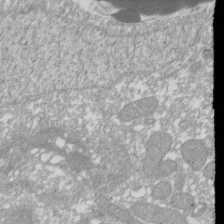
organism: Xenopus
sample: Cilia; centrioles in frog embryo cells